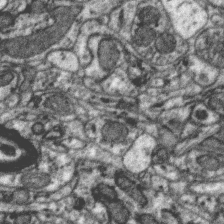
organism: Zebra finch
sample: Brain